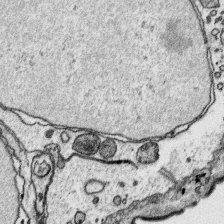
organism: Platynereis dumerilii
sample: Parapodia